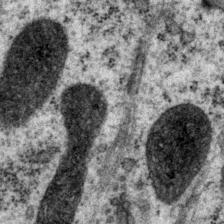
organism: P. pacificus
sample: Pharynx